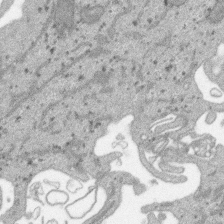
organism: Human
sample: Lung epithelial cells infected with SARS-CoV-2